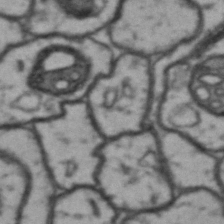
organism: Drosophila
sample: Brain